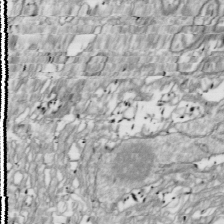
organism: Drosophila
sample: Cell division; meiosis; drosophila spermatocytes